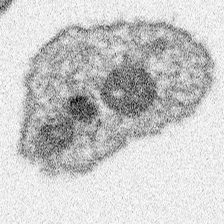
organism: Spongilla lacustris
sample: Neuroid cell